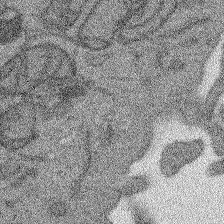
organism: Human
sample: HeLa cells